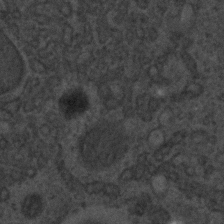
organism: C. elegans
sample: C. elegans embryo